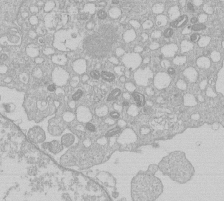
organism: Human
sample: Macrophage cells